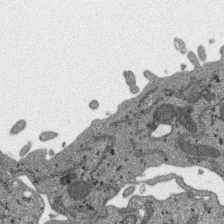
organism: Human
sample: Lung epithelial cells infected with SARS-CoV-2